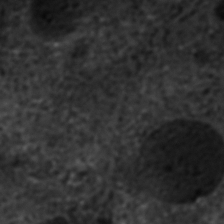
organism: C. elegans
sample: C. elegans embryo